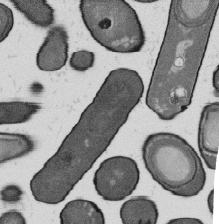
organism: B. subtilis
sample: Bacterial spore